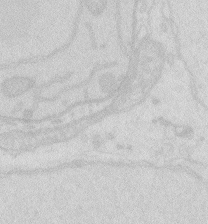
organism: Zebrafish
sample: Macrophage